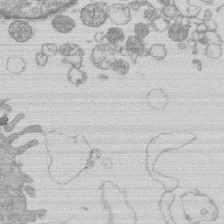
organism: Human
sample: Macrophage cells